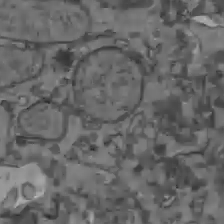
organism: C57BL Mouse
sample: Liver